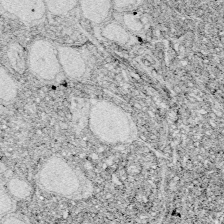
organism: Zebrafish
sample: Whole-Brain